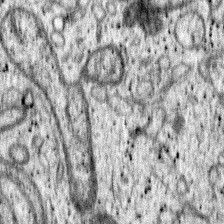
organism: Human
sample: HeLa cells